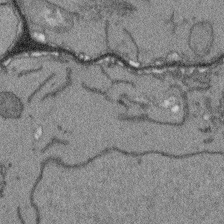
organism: Arabidopsis thaliana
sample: Root tip